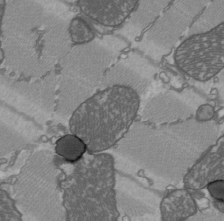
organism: C57BL Mouse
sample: Heart